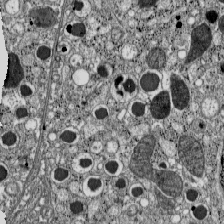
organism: C57BL Mouse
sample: Pancreatic islet